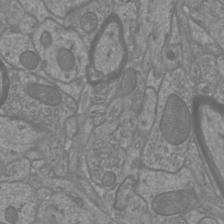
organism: Mouse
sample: Cortical neurons